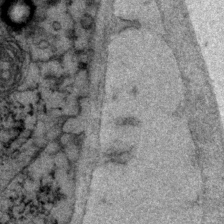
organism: P. pacificus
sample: Pharynx